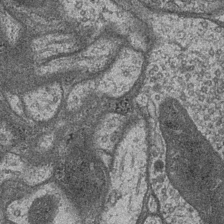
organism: Drosophila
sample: Optic medulla